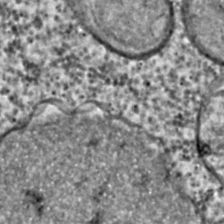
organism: C. elegans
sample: C. elegans embryo